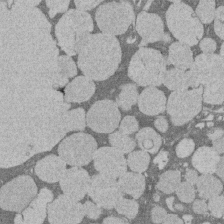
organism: Rat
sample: Salivary granule